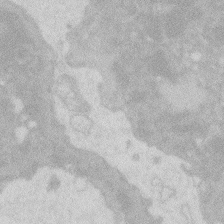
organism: Zebrafish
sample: Macrophage